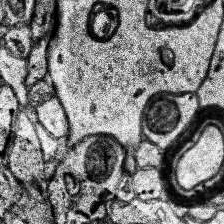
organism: Human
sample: Temporal Lobe